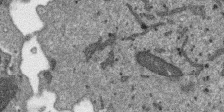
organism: Human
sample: Lung epithelial cells infected with SARS-CoV-2